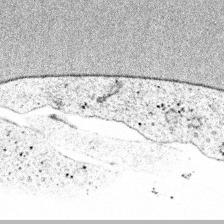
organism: Human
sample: HeLa cells